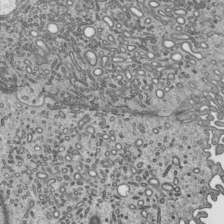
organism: Mouse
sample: Mouse epididymis efferent ductule cilia